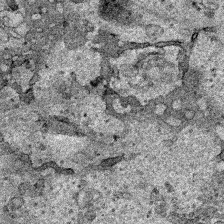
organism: Human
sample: Mitochondria in HCT116 cells